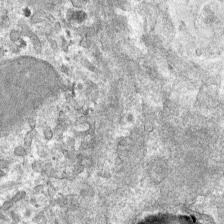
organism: Mouse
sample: Mouse hepatocytes